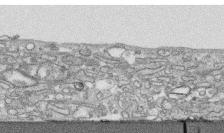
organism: Human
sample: CRL-1474